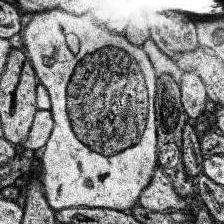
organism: Human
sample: Temporal Lobe